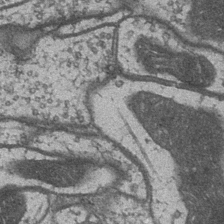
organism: Drosophila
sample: Optic medulla